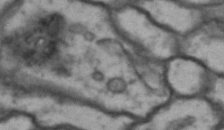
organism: Drosophila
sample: Brain